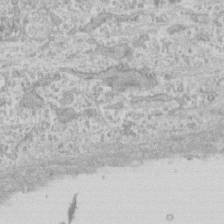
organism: Human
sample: CRL-1474